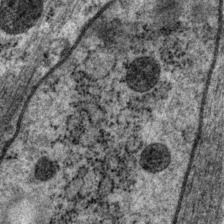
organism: P. pacificus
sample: Pharynx